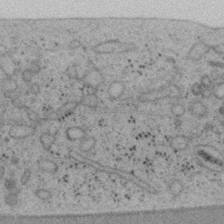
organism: Human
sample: HeLa cells